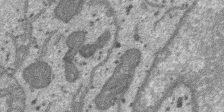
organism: Human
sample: Lung epithelial cells infected with SARS-CoV-2